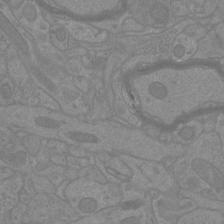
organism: Mouse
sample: Cortical neurons